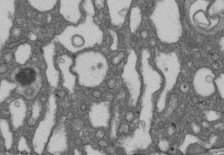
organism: Drosophila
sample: Nephrocyte